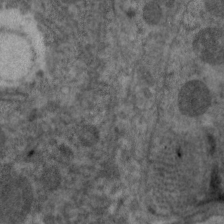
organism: C. elegans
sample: Pharynx